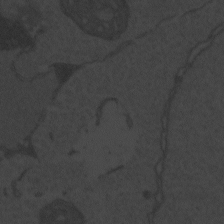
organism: Zebrafish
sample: Macrophage infected with Toxoplasma gondii